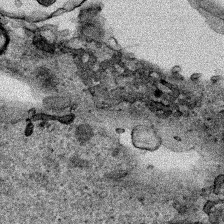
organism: Human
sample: Mitochondria in HCT116 cells